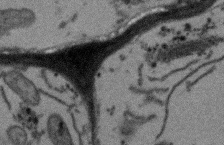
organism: Arabidopsis thaliana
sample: Root tip